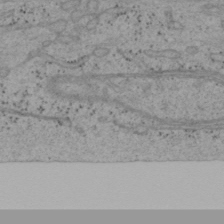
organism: Human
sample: HeLa cells